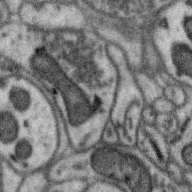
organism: Zebra finch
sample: Brain